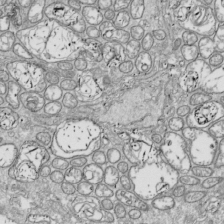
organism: Drosophila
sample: Cell division; meiosis; drosophila spermatocytes